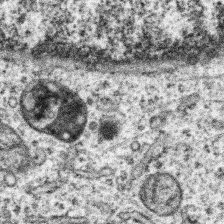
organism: Human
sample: HeLa cells